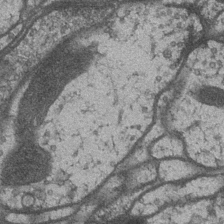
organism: Drosophila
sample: Optic medulla